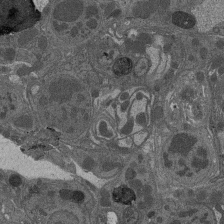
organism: Drosophila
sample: Antenna